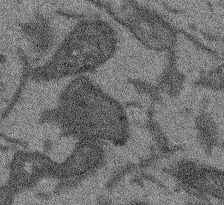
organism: Arabidopsis thaliana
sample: Root tip